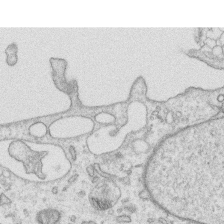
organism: Human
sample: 1205lu cells